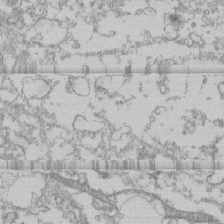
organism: Human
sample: CRL-1474